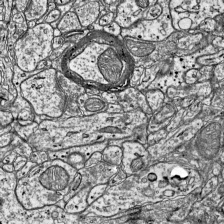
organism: Mouse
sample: Visual Cortex